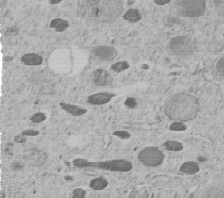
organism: C. elegans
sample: C. elegans embryo early stage